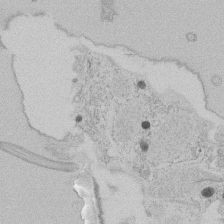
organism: Tetrahymena